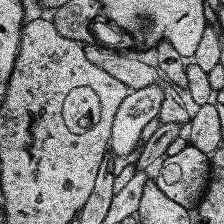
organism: Human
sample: Temporal Lobe